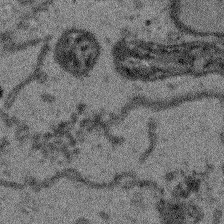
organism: Arabidopsis thaliana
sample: Root tip